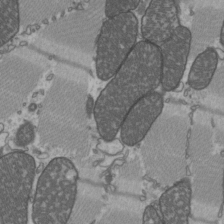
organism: C57BL Mouse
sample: Heart